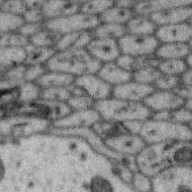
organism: Zebra finch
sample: Brain